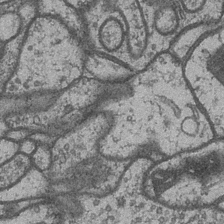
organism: Drosophila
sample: Optic medulla